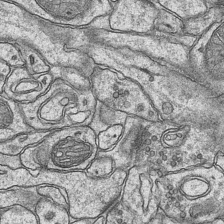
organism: Mouse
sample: CA1 Hippocampus